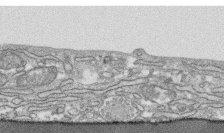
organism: Human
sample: CRL-1474